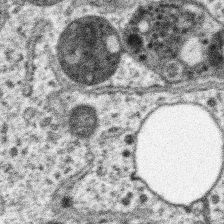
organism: Human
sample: HeLa cells